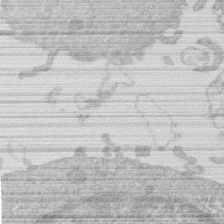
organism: Human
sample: Macrophage cells